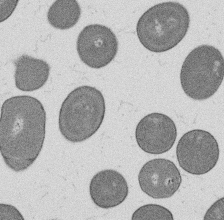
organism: B. subtilis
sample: Bacterial spore